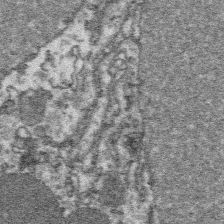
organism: Platynereis dumerilii